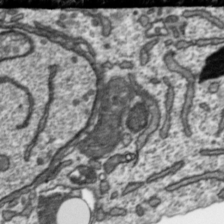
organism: Toxoplasma gondii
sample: Parasites in a vacuole inside a host cell